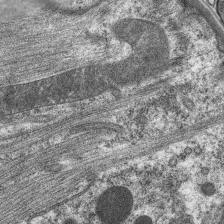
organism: C. elegans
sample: Pharynx